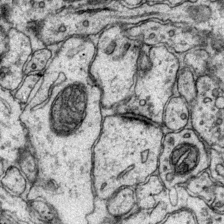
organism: Mouse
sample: Primary visual cortex